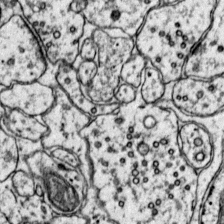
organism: Mouse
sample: Primary visual cortex